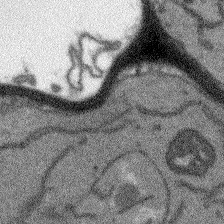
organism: Arabidopsis thaliana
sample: Root tip